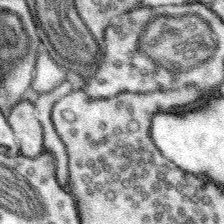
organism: Mouse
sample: Somatosensory cortex neuropil